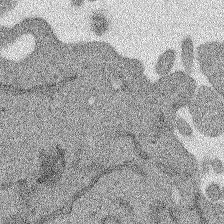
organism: Human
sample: HeLa cells